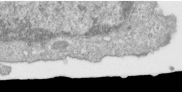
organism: Human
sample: Centriole in RPE cells